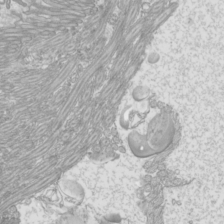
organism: Mouse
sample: Cilia; mouse epididymis